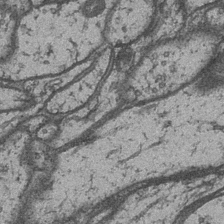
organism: Drosophila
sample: Optic medulla